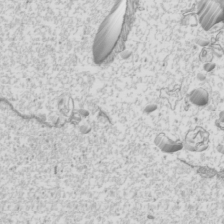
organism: Mouse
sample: Cilia; mouse epididymis